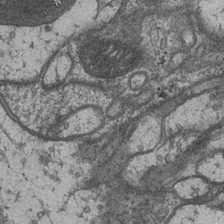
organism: Drosophila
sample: Optic medulla